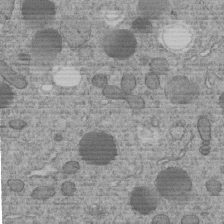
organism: C. elegans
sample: C. elegans embryo early stage